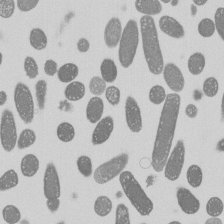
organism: E. coli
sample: Bacterial nucleoid